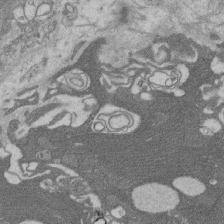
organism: Rat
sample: Salivary granule